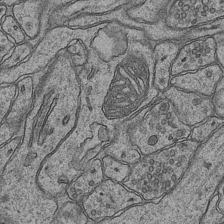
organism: Mouse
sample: CA1 Hippocampus